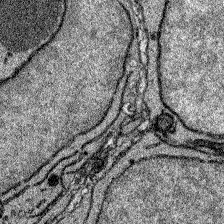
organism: Zebrafish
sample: Larval olfactory bulb